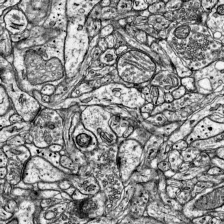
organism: Mouse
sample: Visual Cortex